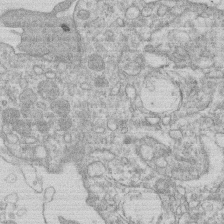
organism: Human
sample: Macrophage cells